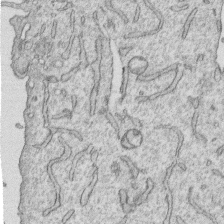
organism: Human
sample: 1205lu cells